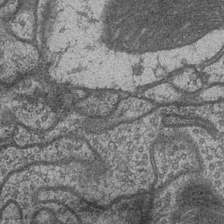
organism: Drosophila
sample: Optic medulla